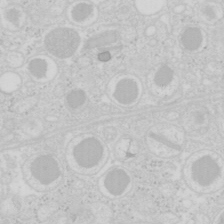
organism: Mouse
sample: Pancreas